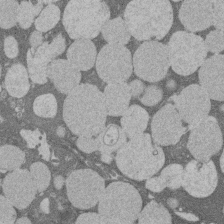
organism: Rat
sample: Salivary granule